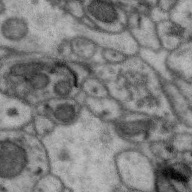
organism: Zebra finch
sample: Brain